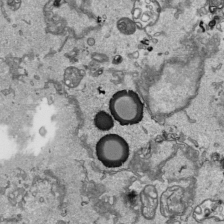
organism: Human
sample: Mitochondria in HCT116 cells